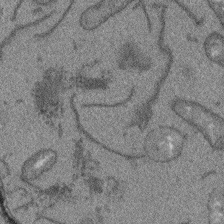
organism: Arabidopsis thaliana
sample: Root tip